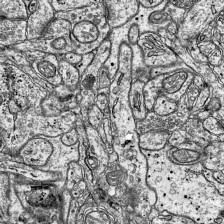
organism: Mouse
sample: Visual Cortex